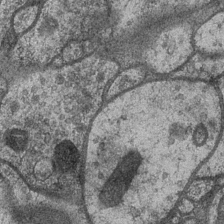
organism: Drosophila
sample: Optic medulla